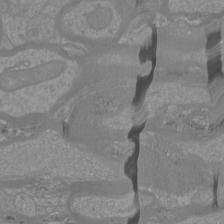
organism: Mouse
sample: Cortical neurons